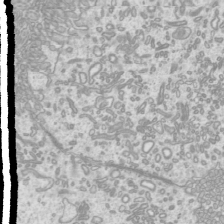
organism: Mouse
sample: Cilia; mouse epididymis